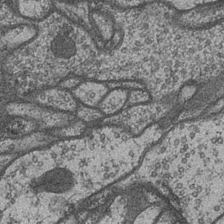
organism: Drosophila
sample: Optic medulla